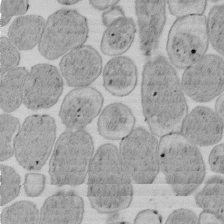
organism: E. coli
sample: Bacterial nucleoid